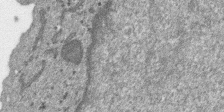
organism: Human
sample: Lung epithelial cells infected with SARS-CoV-2